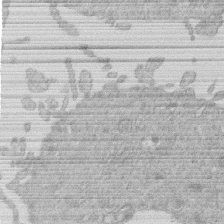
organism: Human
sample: Macrophage cells